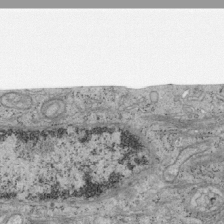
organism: Human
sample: HeLa cells